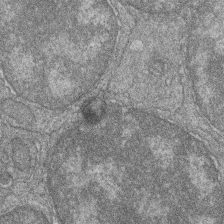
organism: Zebrafish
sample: Cilia; retinal pigment epithelium